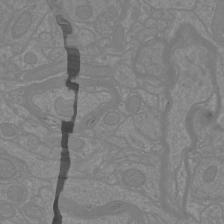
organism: Mouse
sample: Cortical neurons